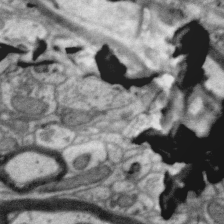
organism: Zebra finch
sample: Brain